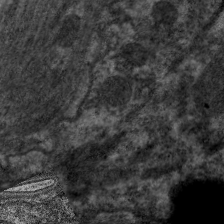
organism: C. elegans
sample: Pharynx